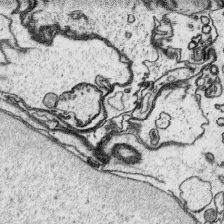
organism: Platynereis dumerilii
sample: Parapodia